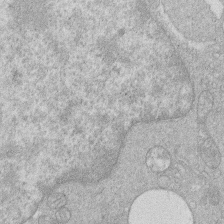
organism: Human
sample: Macrophage cells